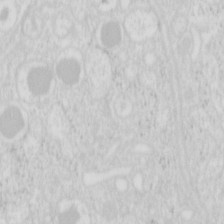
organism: Mouse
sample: Pancreas